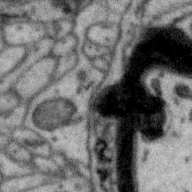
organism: Zebra finch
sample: Brain